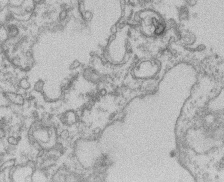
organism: Mouse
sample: T cell stromal cell synapse